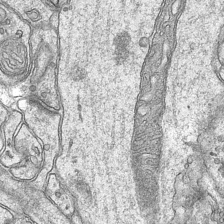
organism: Mouse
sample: CA1 Hippocampus